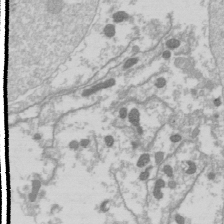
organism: Drosophila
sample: Cell division; meiosis; drosophila spermatocytes